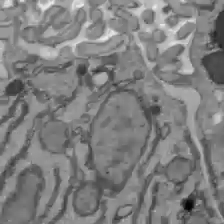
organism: C57BL Mouse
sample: Liver